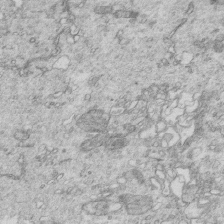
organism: Mouse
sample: Multiciliated cells